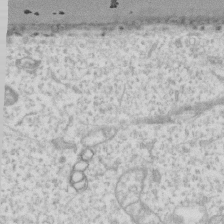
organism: Human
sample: Fibroblast cells